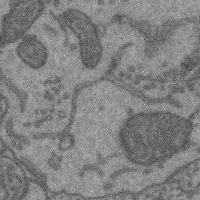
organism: Mouse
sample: Cerebral cortex